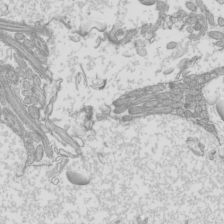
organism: Mouse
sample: Cilia; mouse epididymis